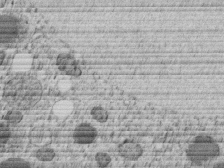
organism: C. elegans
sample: C. elegans embryo early stage